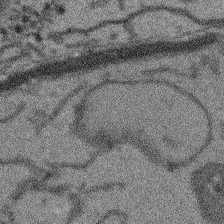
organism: Arabidopsis thaliana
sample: Root tip